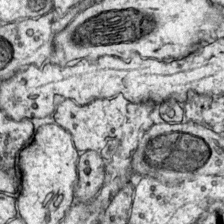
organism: Mouse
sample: Primary visual cortex